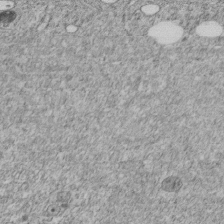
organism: C. elegans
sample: C. elegans embryo early stage